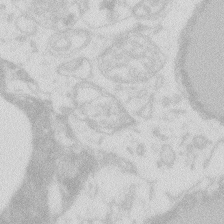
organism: Zebrafish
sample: Macrophage